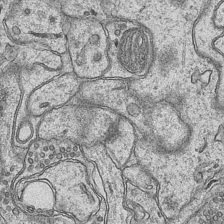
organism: Mouse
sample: CA1 Hippocampus